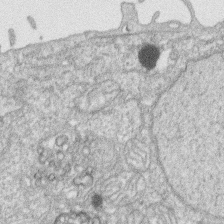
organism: Human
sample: HeLa cell HIV synapse